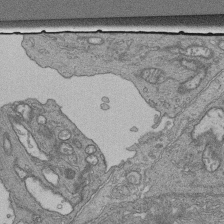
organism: Human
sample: Retinal organoid Rod and Cone cells